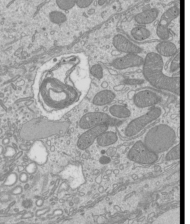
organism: Mouse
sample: Cilia; mouse epididymis